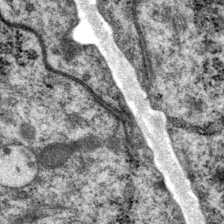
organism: P. pacificus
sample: Pharynx